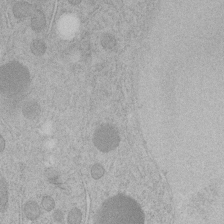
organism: C. elegans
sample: C. elegans embryo early stage